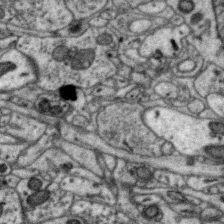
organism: Zebra finch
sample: Brain